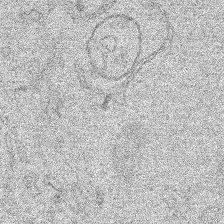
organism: Human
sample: Mitochondria in HCT116 cells